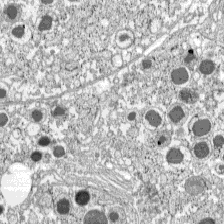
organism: C57BL Mouse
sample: Pancreatic islet